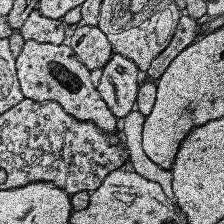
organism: Human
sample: Temporal Lobe